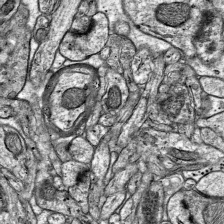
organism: Mouse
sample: Visual Cortex